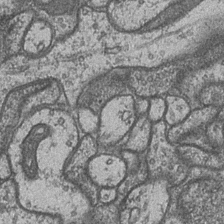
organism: Drosophila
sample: Optic medulla